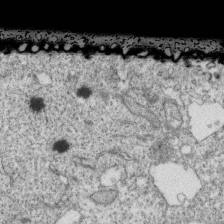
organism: Human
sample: HeLa cell HIV synapse